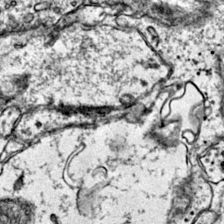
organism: Mouse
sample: Primary visual cortex